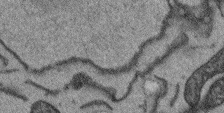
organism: Arabidopsis thaliana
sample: Root tip